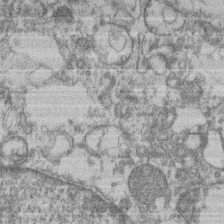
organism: Mouse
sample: T cell stromal cell synapse